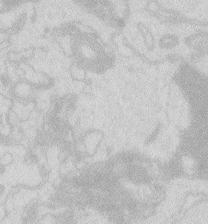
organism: Zebrafish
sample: Macrophage